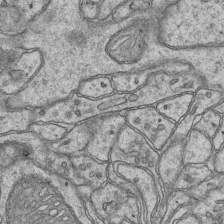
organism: Mouse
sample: CA1 Hippocampus